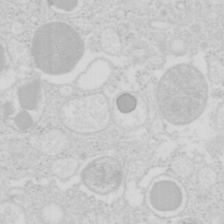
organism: Mouse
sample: Pancreas